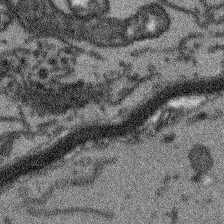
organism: Arabidopsis thaliana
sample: Root tip